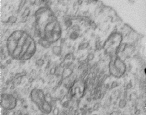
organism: Human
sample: Centriole in RPE cells